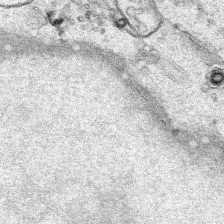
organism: Human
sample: Mitochondria in HCT116 cells